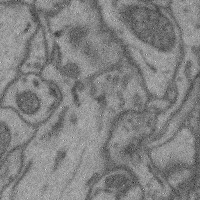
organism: Mouse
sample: Cerebral cortex